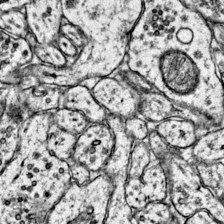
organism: Mouse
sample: Primary visual cortex